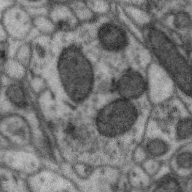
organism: Zebra finch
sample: Brain